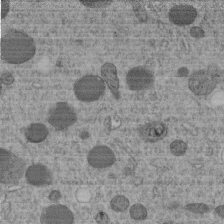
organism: C. elegans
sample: C. elegans embryo early stage